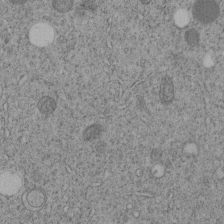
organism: C. elegans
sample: C. elegans embryo early stage